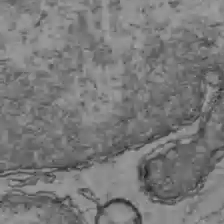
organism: C57BL Mouse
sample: Liver